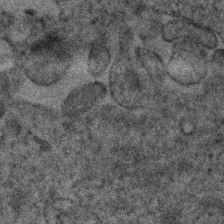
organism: Human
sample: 1205lu cells